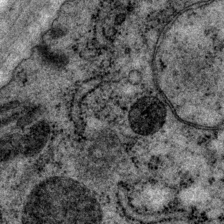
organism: P. pacificus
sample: Pharynx